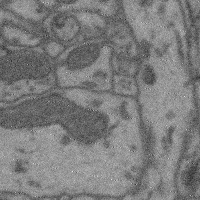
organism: Mouse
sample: Cerebral cortex